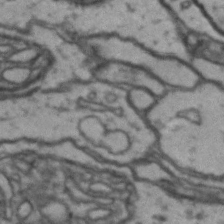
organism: Drosophila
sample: Brain